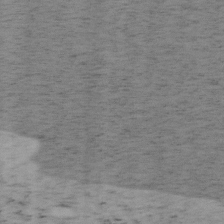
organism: Mouse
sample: OT-I killer T cells with ID8 ovarian cancer cells